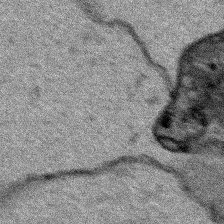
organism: Human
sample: Mitochondria in HCT116 cells